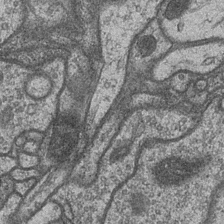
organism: Drosophila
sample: Optic medulla